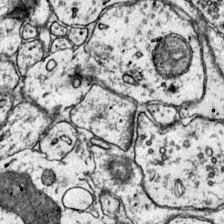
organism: Mouse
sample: Primary visual cortex